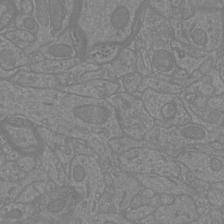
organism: Mouse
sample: Cortical neurons